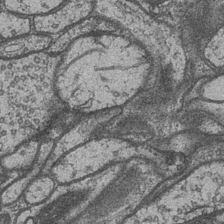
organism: Drosophila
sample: Optic medulla